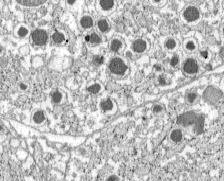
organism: C57BL Mouse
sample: Pancreatic islet